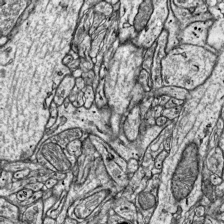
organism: Mouse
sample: Visual Cortex